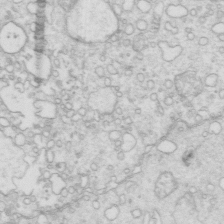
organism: Mouse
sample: Multiciliated cells